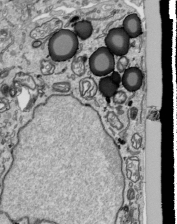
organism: Human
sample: Mitochondria in HCT116 cells